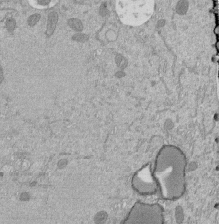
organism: Mouse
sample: ED-1 cell nuclei; centrioles